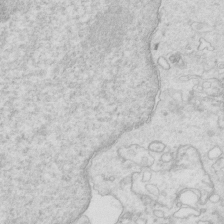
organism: Mouse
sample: Multiciliated cells